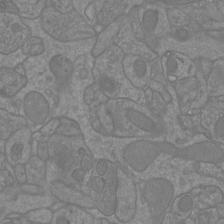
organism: Mouse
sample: Cortical neurons